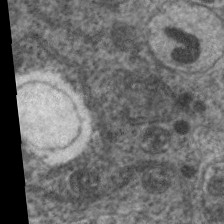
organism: C. elegans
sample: Pharynx